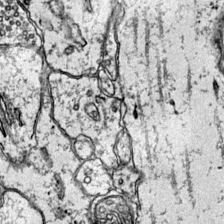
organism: Mouse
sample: Primary visual cortex